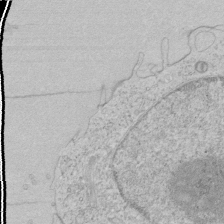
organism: Human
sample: Mitochondria in HCT116 cells